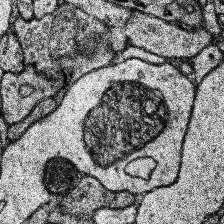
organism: Human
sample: Temporal Lobe